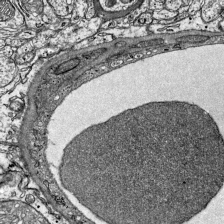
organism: Mouse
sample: Visual Cortex